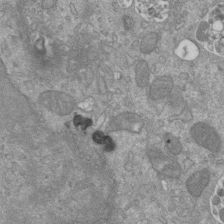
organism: Mouse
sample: ED-1 cell nuclei; centrioles